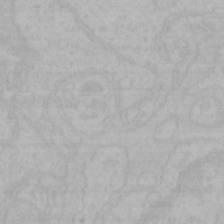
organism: Mouse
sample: Choroid plexus